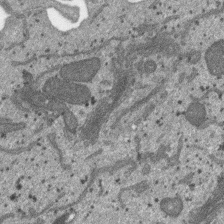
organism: Human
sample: Lung epithelial cells infected with SARS-CoV-2